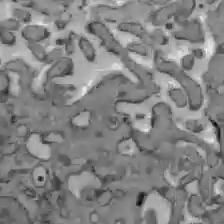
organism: C57BL Mouse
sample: Liver